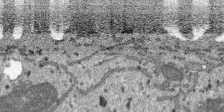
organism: Human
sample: Lung epithelial cells infected with SARS-CoV-2